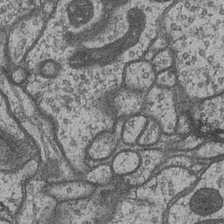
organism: Drosophila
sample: Optic medulla